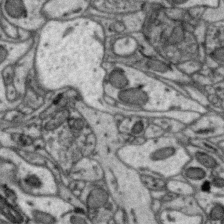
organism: Zebra finch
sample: Brain